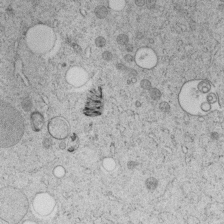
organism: C. elegans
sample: C. elegans embryo early stage